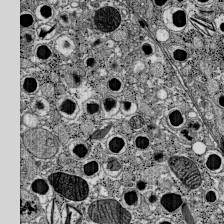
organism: C57BL Mouse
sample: Pancreatic islet